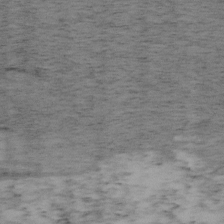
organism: Mouse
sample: OT-I killer T cells with ID8 ovarian cancer cells